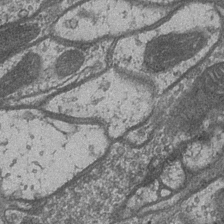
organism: Drosophila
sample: Optic medulla